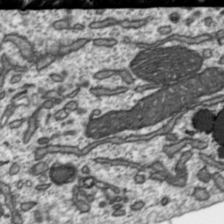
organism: Toxoplasma gondii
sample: Parasites in a vacuole inside a host cell